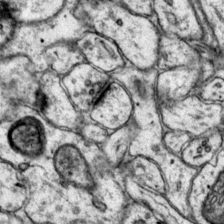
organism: Mouse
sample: Primary visual cortex